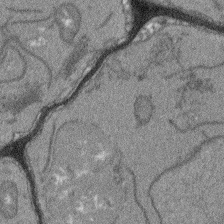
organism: Arabidopsis thaliana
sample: Root tip